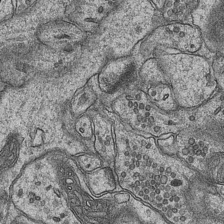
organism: Mouse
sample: CA1 Hippocampus